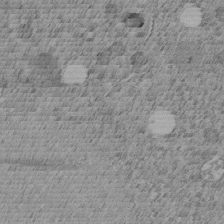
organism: C. elegans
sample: C. elegans embryo early stage